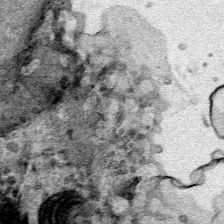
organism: Human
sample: Mitochondria in HCT116 cells